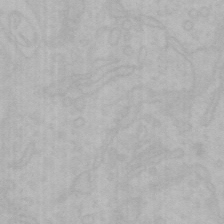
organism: Mouse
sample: Choroid plexus